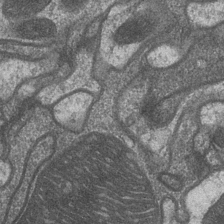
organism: Drosophila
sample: Optic medulla